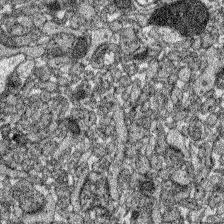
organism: Zebrafish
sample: Larval olfactory bulb